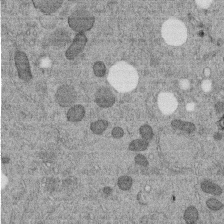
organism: C. elegans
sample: C. elegans embryo early stage